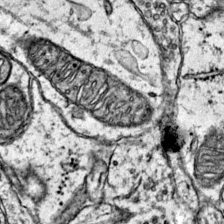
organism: Mouse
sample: Primary visual cortex